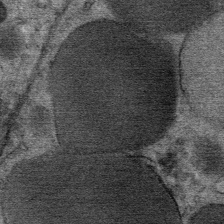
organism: Mouse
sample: Mouse Salivary gland